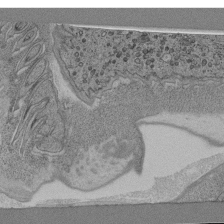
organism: C. elegans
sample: C. elegans pharynx